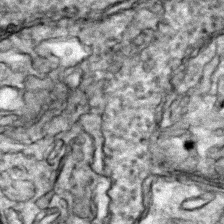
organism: Zebrafish